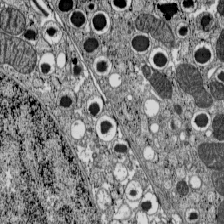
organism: C57BL Mouse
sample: Pancreatic islet